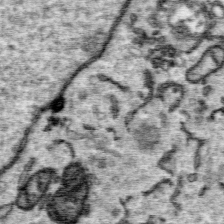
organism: Human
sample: HeLa cells